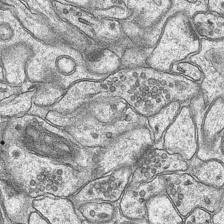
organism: Mouse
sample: CA1 Hippocampus